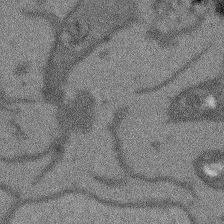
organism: Arabidopsis thaliana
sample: Root tip